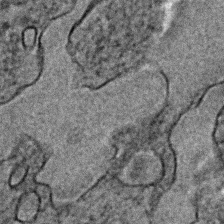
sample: Trachea